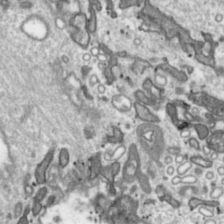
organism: Toxoplasma gondii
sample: Parasites in a vacuole inside a host cell